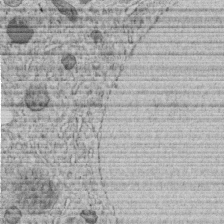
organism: C. elegans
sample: C. elegans embryo early stage